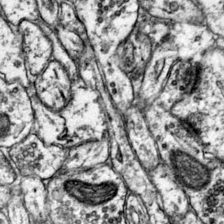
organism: Mouse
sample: Primary visual cortex